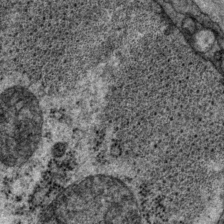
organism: P. pacificus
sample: Pharynx